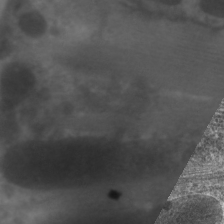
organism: C. elegans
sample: Pharynx